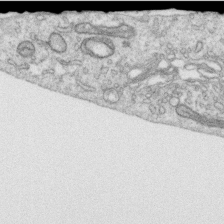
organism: Human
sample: Centriole in RPE cells